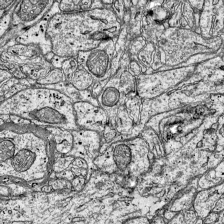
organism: Mouse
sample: Visual Cortex